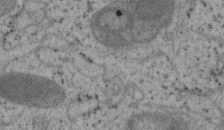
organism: Human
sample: HeLa cells